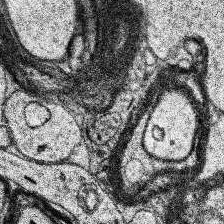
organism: Human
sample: Temporal Lobe